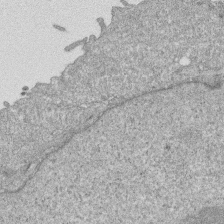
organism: Human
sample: HeLa cell HIV synapse